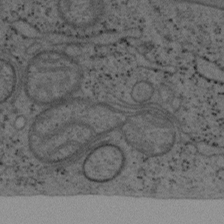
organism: Human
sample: HeLa cells